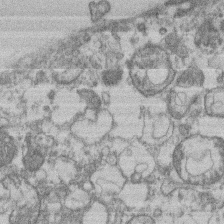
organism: Mouse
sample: T cell stromal cell synapse